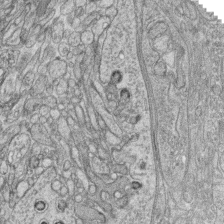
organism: Zebrafish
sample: synaptic ribbons in rod cells and cone cells